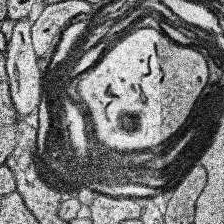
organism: Human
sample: Temporal Lobe